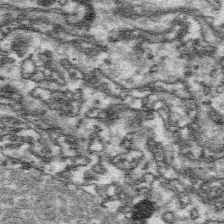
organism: Platynereis dumerilii